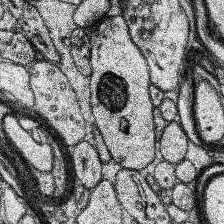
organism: Human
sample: Temporal Lobe